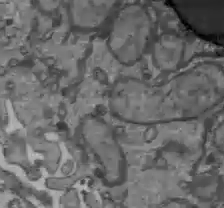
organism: C57BL Mouse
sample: Liver